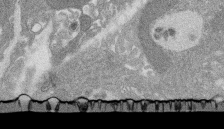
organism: Rat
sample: Salivary granule